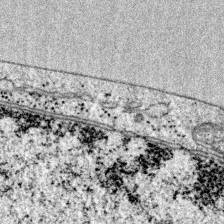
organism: Human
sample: HeLa cells